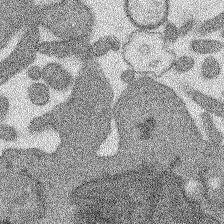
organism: Human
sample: HeLa cells